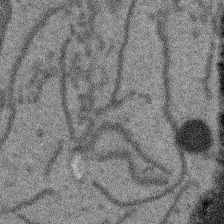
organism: Arabidopsis thaliana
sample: Root tip